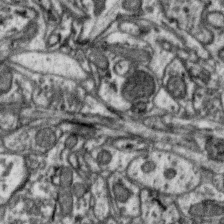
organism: Zebra finch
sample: Brain